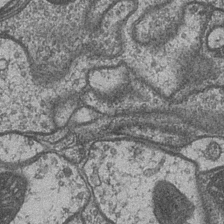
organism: Drosophila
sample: Optic medulla